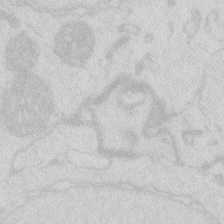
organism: Zebrafish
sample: Macrophage